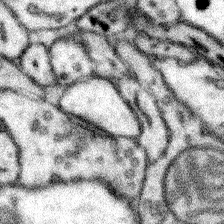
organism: Mouse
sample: Somatosensory cortex neuropil